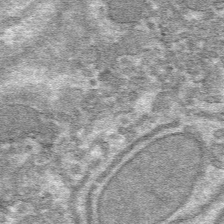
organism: Mouse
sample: Mouse hepatocytes